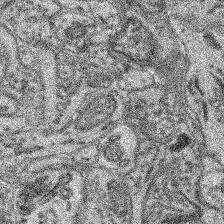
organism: Mouse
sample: Retina